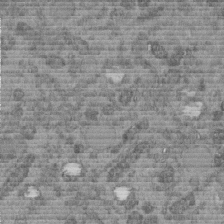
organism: C. elegans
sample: C. elegans embryo early stage